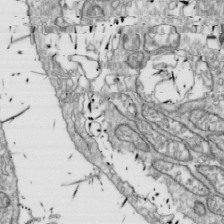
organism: Drosophila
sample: Cell division; meiosis; drosophila spermatocytes